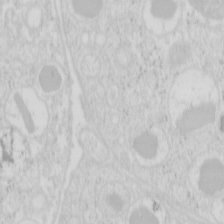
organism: Mouse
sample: Pancreas